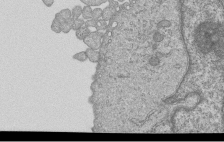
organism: Human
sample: MDA-MB-231 cells